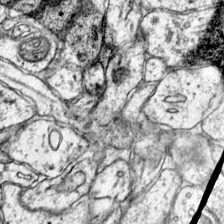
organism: Mouse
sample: Primary visual cortex